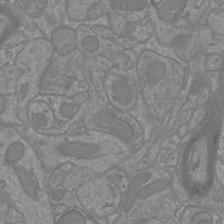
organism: Mouse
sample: Cortical neurons